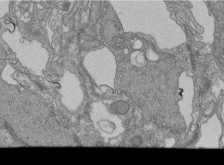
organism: Human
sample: Retinal organoid Rod and Cone cells